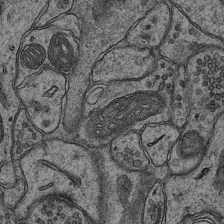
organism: Mouse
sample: CA1 Hippocampus